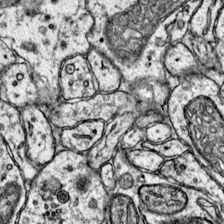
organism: Mouse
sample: Primary visual cortex